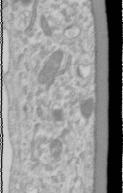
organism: Human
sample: Cilia; basal body in RPE cells